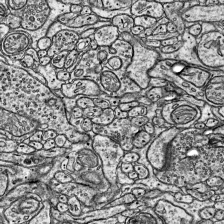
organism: Mouse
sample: Visual Cortex